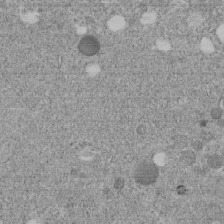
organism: C. elegans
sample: C. elegans embryo early stage